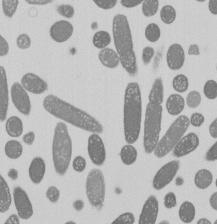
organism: E. coli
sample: Bacterial nucleoid